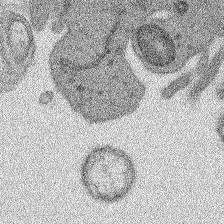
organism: Human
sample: HeLa cells